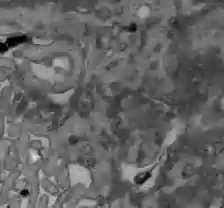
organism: C57BL Mouse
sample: Liver